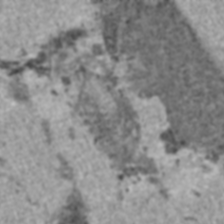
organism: C57BL Mouse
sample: Heart